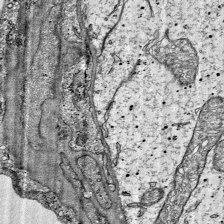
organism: Mouse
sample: Visual Cortex